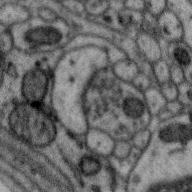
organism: Zebra finch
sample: Brain